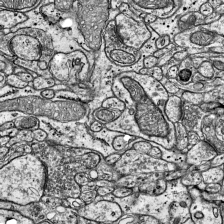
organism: Mouse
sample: Visual Cortex